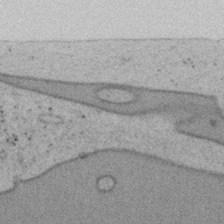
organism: Human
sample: HeLa cells